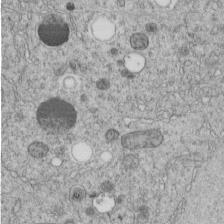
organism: C. elegans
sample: C. elegans embryo early stage